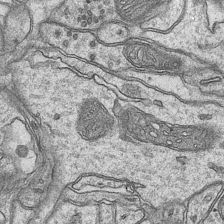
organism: Mouse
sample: CA1 Hippocampus